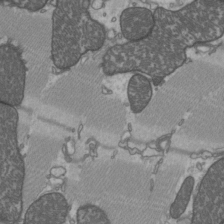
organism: C57BL Mouse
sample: Heart